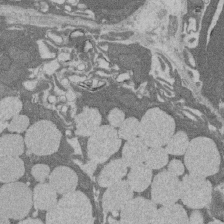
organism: Rat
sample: Salivary granule